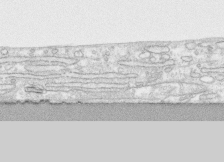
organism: Human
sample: CRL-1474